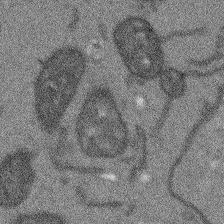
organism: Arabidopsis thaliana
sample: Root tip